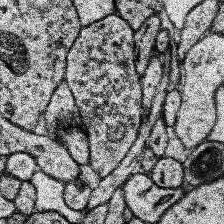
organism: Human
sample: Temporal Lobe